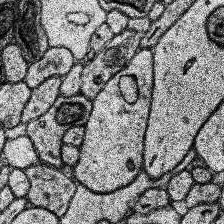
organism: Human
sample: Temporal Lobe